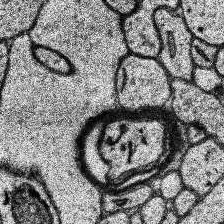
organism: Human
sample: Temporal Lobe